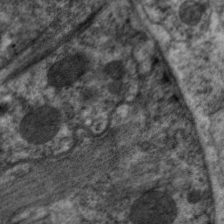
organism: C. elegans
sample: Pharynx